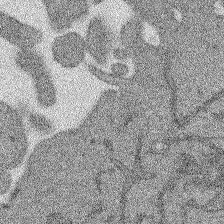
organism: Human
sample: HeLa cells